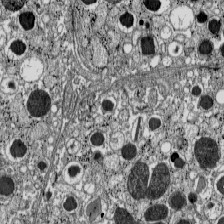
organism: C57BL Mouse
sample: Pancreatic islet